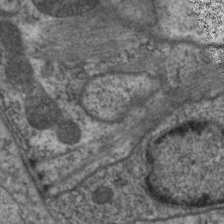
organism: C. elegans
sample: Pharynx